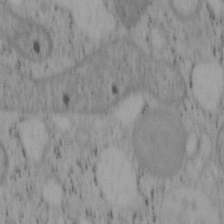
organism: Mouse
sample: OT-I killer T cells with ID8 ovarian cancer cells